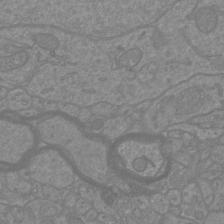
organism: Mouse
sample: Cortical neurons